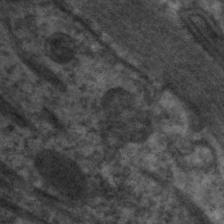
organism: C. elegans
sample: Pharynx